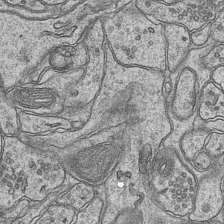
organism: Mouse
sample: CA1 Hippocampus